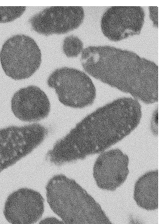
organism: E. coli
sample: Bacterial nucleoid